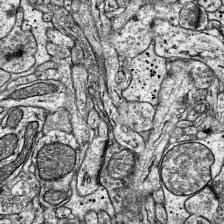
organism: Mouse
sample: Visual Cortex